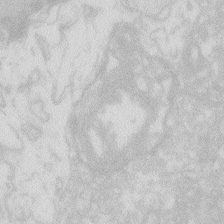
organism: Zebrafish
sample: Macrophage